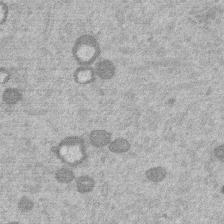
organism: Mouse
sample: Dividing mouse embryo 1 cell stage